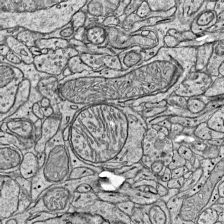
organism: Mouse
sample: Visual Cortex